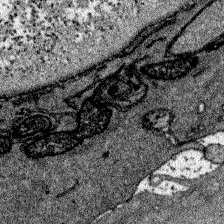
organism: Zebrafish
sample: Larval olfactory bulb